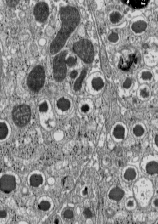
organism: C57BL Mouse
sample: Pancreatic islet